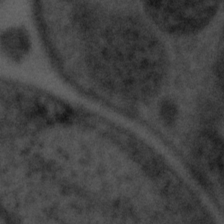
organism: Tuwongella immobilis